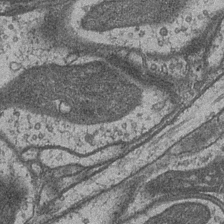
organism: Drosophila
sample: Optic medulla